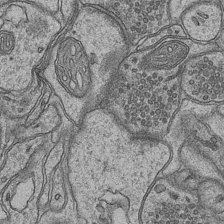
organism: Mouse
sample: CA1 Hippocampus